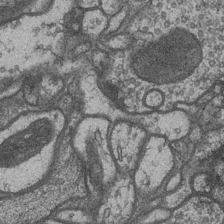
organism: Drosophila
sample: Optic medulla